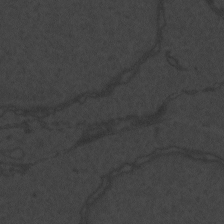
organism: Zebrafish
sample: Macrophage infected with Toxoplasma gondii